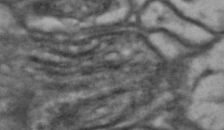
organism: Drosophila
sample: Brain